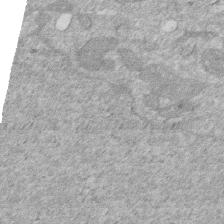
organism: Human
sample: HIV infected U937 cells